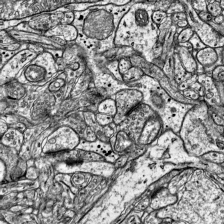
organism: Mouse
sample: Visual Cortex